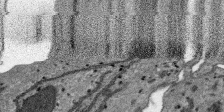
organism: Human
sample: Lung epithelial cells, uninfected (mock) control